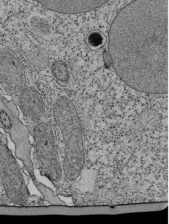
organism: Tetrahymena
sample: Cilia in tetrahymena